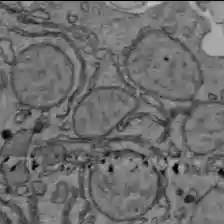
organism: C57BL Mouse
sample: Liver